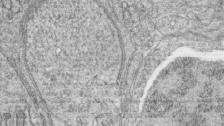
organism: Zebrafish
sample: synaptic ribbons in rod cells and cone cells